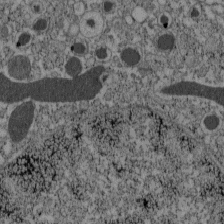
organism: C57BL Mouse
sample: Pancreatic islet